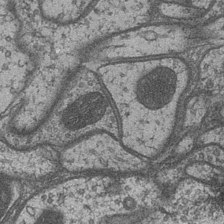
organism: Drosophila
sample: Optic medulla